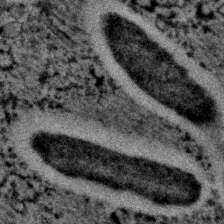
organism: C. elegans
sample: C. elegans embryo